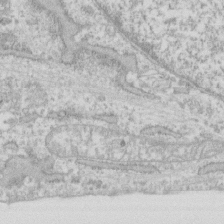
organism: Human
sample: Fibroblast cells